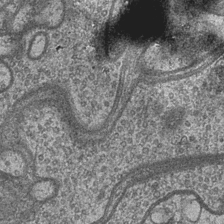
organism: Drosophila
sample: Optic medulla